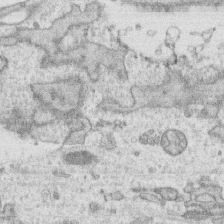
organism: Human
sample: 1205lu cells